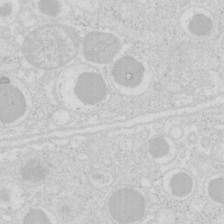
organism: Mouse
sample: Pancreas